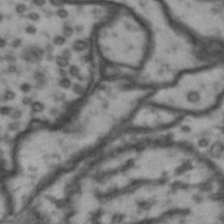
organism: Drosophila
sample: Brain